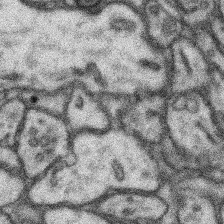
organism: Mouse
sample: Somatosensory cortex neuropil